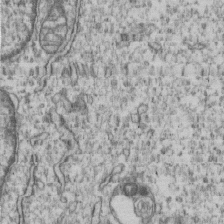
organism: Human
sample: MDA-MB-231 cells